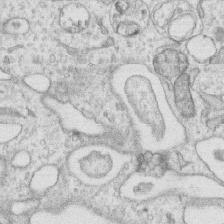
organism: Human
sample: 1205lu cells